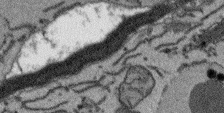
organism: Arabidopsis thaliana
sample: Root tip